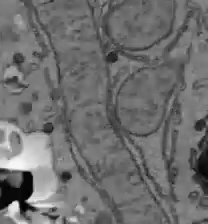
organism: C57BL Mouse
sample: Liver